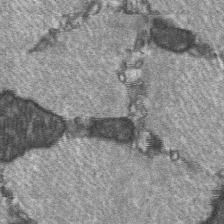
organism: C57BL Mouse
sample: Soleus